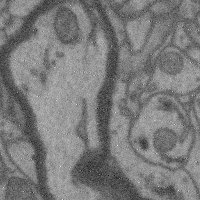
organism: Mouse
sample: Cerebral cortex